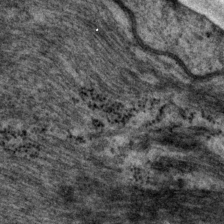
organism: P. pacificus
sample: Pharynx